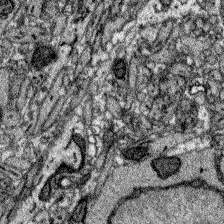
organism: Zebrafish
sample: Larval olfactory bulb